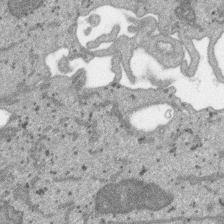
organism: Human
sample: Lung epithelial cells infected with SARS-CoV-2